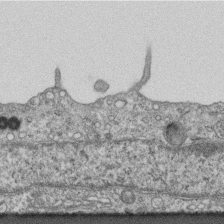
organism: Mouse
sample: Centriole in ependymal cells